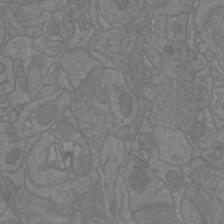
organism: Mouse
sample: Cortical neurons